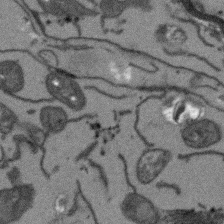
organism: Arabidopsis thaliana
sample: Root tip